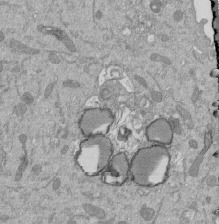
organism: Mouse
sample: ED-1 cell nuclei; centrioles